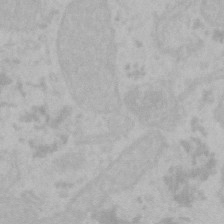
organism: Mouse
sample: Choroid plexus